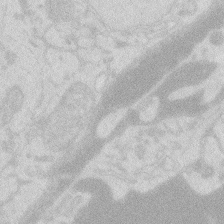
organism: Zebrafish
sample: Macrophage